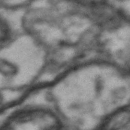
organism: Drosophila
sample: Brain